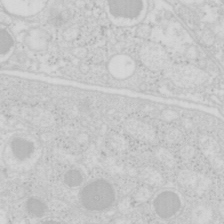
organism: Mouse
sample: Pancreas